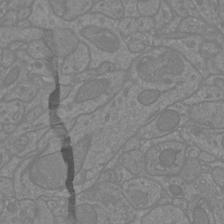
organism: Mouse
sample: Cortical neurons